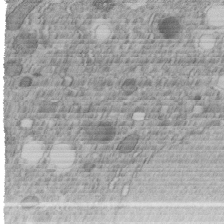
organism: C. elegans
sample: C. elegans embryo early stage